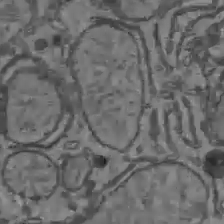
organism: C57BL Mouse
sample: Liver